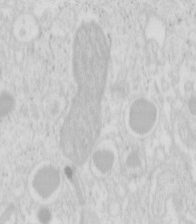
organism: Mouse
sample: Pancreas